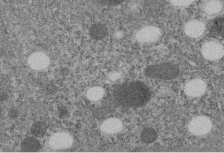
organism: C. elegans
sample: C. elegans embryo early stage